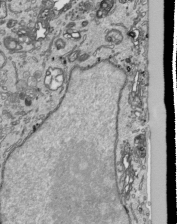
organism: Human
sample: Mitochondria in HCT116 cells